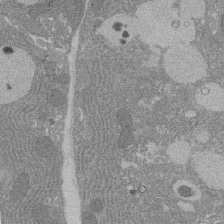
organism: Rat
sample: Salivary granule